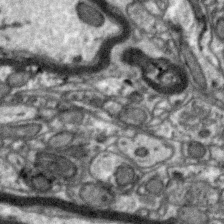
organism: Zebra finch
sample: Brain